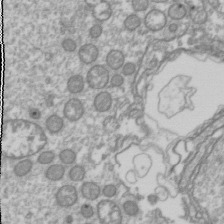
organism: Drosophila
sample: Cell division; meiosis; drosophila spermatocytes